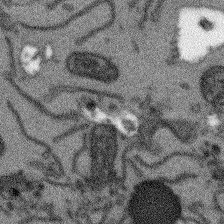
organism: Arabidopsis thaliana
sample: Root tip